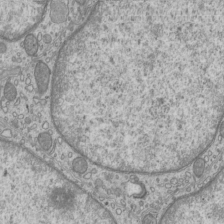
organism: Mouse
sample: Cilia; mouse epididymis